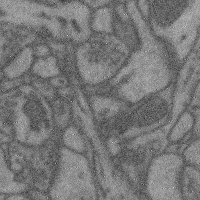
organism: Mouse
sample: Cerebral cortex